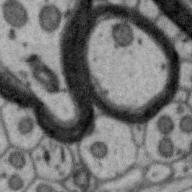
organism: Zebra finch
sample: Brain